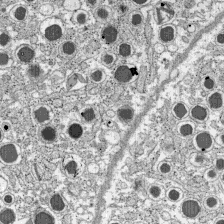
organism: C57BL Mouse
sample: Pancreatic islet